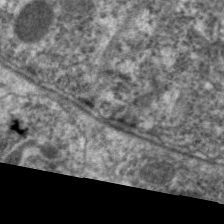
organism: C. elegans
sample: Pharynx